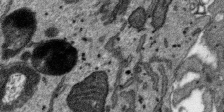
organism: Human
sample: Lung epithelial cells, uninfected (mock) control